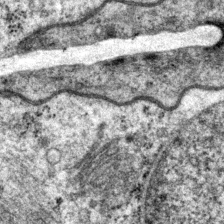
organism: P. pacificus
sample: Pharynx